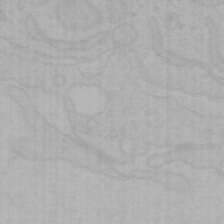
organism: Mouse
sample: Choroid plexus